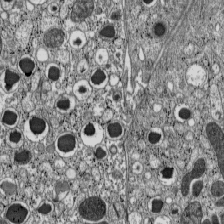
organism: C57BL Mouse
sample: Pancreatic islet